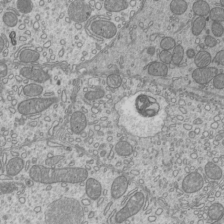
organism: Mouse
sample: Cilia; mouse epididymis